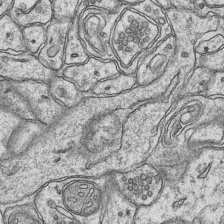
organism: Mouse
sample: CA1 Hippocampus